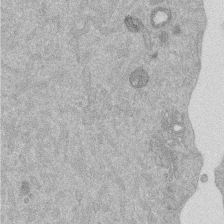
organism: Mouse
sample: Dividing mouse embryo 1 cell stage